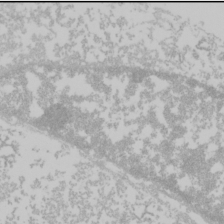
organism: Mouse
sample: Cancer cell death in ED-1 cells